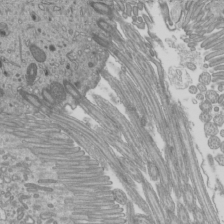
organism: Mouse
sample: Cilia; mouse epididymis